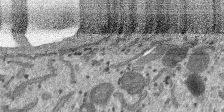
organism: Human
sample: Lung epithelial cells infected with SARS-CoV-2